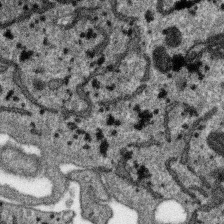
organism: Human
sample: Lung epithelial cells infected with SARS-CoV-2